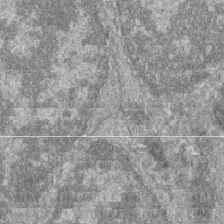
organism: Zebrafish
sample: Cilia; retinal pigment epithelium